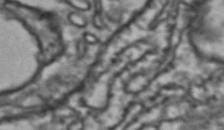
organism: Drosophila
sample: Brain